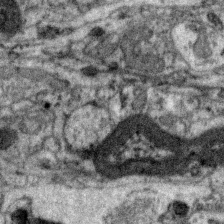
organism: Zebra finch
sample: Brain